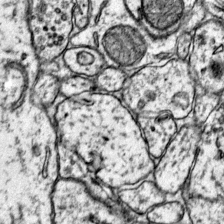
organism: Mouse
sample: Primary visual cortex